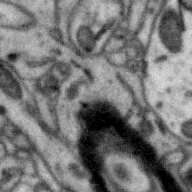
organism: Zebra finch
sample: Brain